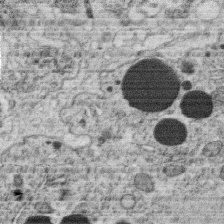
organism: C. elegans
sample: C. elegans oocyte; sperm cells